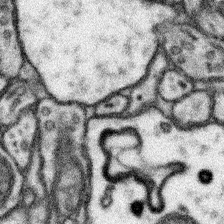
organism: Mouse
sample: Somatosensory cortex neuropil